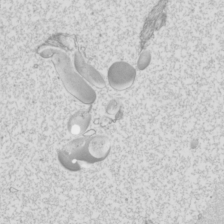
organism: Mouse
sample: Cilia; mouse epididymis